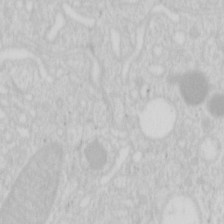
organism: Mouse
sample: Pancreas